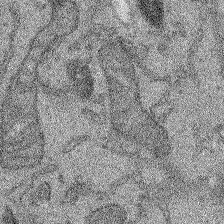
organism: Human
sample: HeLa cells